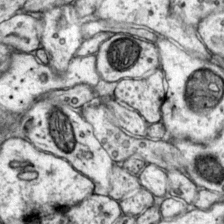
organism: Mouse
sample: Primary visual cortex